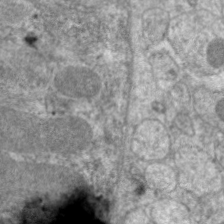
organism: C. elegans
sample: Pharynx